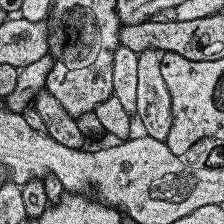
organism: Human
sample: Temporal Lobe